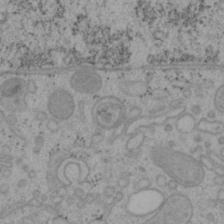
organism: Human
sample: HeLa cells